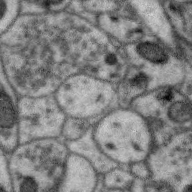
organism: Zebra finch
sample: Brain